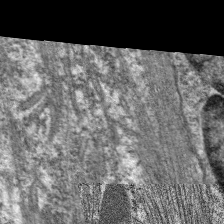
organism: C. elegans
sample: Pharynx